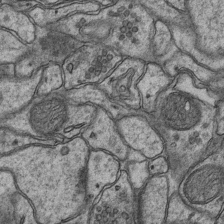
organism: Mouse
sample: CA1 Hippocampus